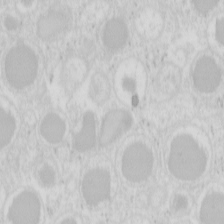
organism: Mouse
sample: Pancreas